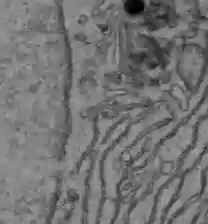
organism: C57BL Mouse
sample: Liver